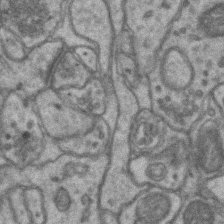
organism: Mouse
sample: CA1 Hippocampus